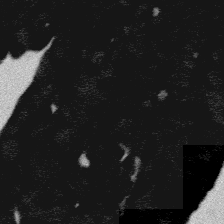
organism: Platynereis dumerilii